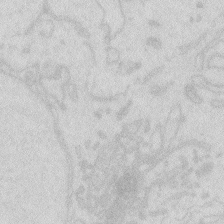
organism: Zebrafish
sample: Macrophage